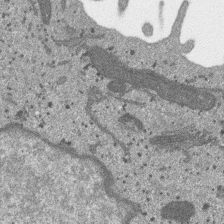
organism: Human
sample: Lung epithelial cells infected with SARS-CoV-2